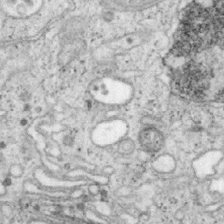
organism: Mouse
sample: OT-I killer T cells with ID8 ovarian cancer cells